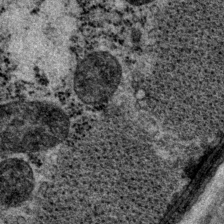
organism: P. pacificus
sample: Pharynx